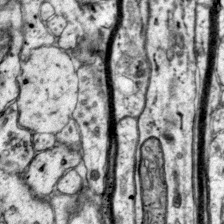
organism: Mouse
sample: Primary visual cortex